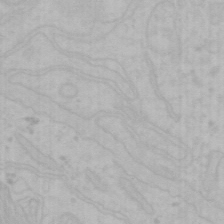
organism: Mouse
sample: Choroid plexus